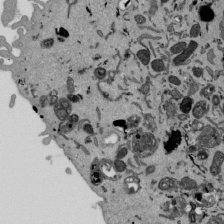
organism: Mouse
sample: ED-1 cell nuclei; centrioles